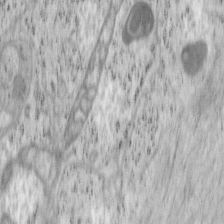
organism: Human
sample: HeLa cells